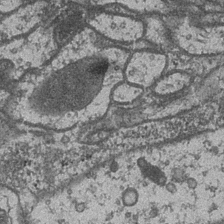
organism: Drosophila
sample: Optic medulla